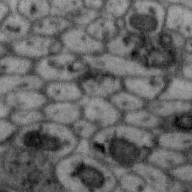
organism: Zebra finch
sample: Brain